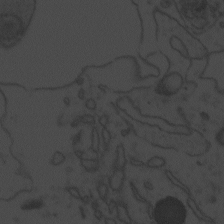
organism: Zebrafish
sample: Macrophage infected with Toxoplasma gondii